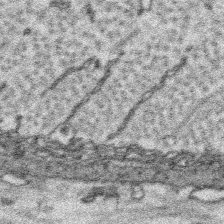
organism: Platynereis dumerilii